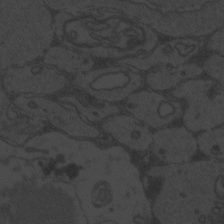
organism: Zebrafish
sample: Macrophage infected with Toxoplasma gondii